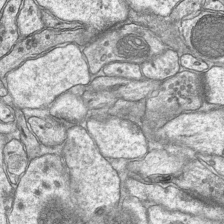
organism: Mouse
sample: CA1 Hippocampus